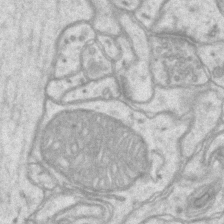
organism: Mouse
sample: CA1 Hippocampus